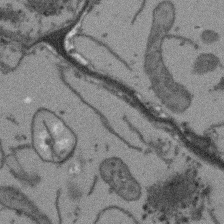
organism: Arabidopsis thaliana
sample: Root tip